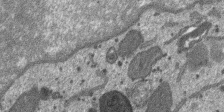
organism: Human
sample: Lung epithelial cells infected with SARS-CoV-2